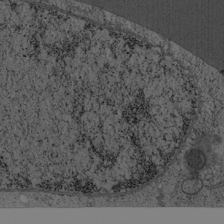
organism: African green monkey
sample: COS-7 cells